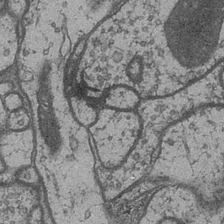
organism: Drosophila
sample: Optic medulla